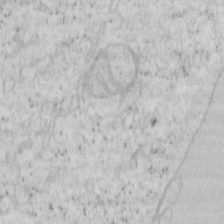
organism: Human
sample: HeLa cells